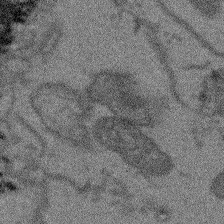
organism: Arabidopsis thaliana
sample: Root tip